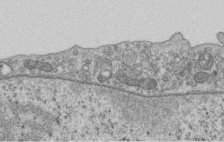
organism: Human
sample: Centriole in RPE cells